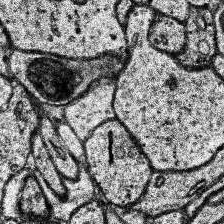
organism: Human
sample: Temporal Lobe